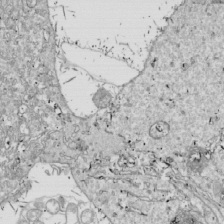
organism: Drosophila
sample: Cell division; meiosis; drosophila spermatocytes